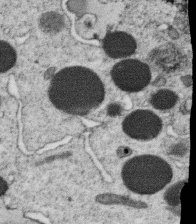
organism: C. elegans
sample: C. elegans oocyte; sperm cells